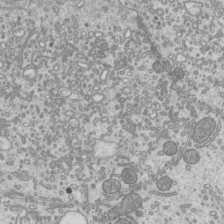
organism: Mouse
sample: Cilia; mouse epididymis